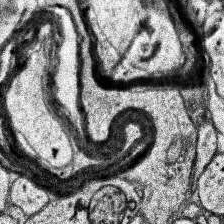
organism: Human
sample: Temporal Lobe